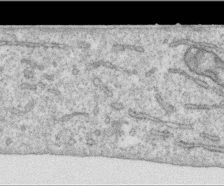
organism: Human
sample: Centriole in RPE cells